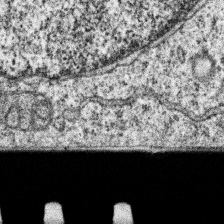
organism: Human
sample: HeLa cells